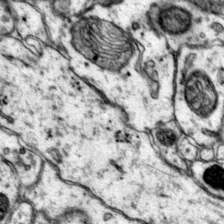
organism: Mouse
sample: Primary visual cortex